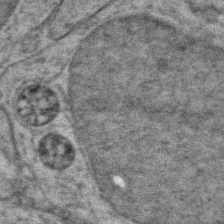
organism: Zebrafish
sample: Zebrafish embryo